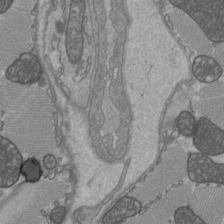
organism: C57BL Mouse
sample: Heart